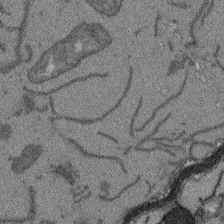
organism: Arabidopsis thaliana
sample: Root tip